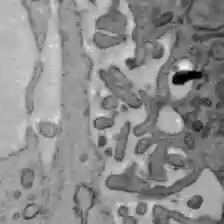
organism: C57BL Mouse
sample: Liver